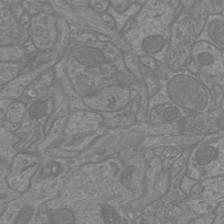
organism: Mouse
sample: Cortical neurons